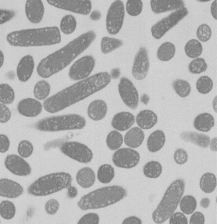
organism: E. coli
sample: Bacterial nucleoid